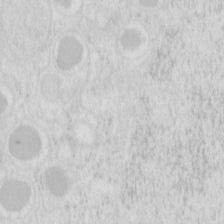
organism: Mouse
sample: Pancreas